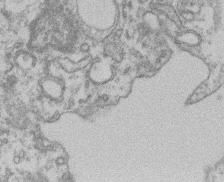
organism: Mouse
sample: T cell stromal cell synapse